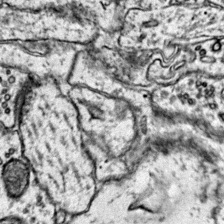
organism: Mouse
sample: Primary visual cortex